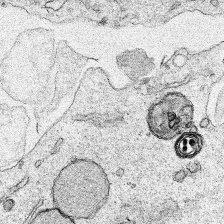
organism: Human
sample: Mitochondria in HCT116 cells